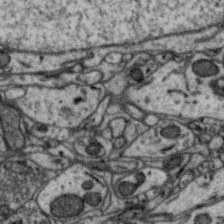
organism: Zebra finch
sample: Brain